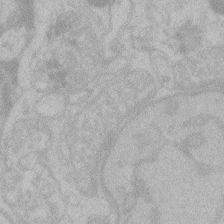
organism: Zebrafish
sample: Macrophage infected with Toxoplasma gondii